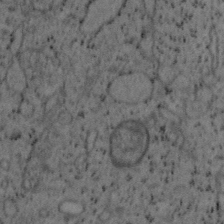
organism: Human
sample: HeLa cells